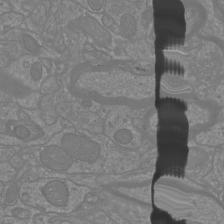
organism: Mouse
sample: Cortical neurons